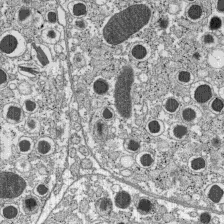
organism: C57BL Mouse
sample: Pancreatic islet